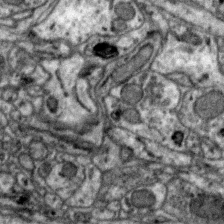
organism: Zebra finch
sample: Brain